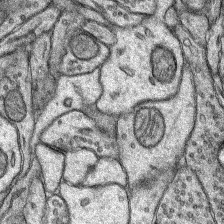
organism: Rat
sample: Hippocampus